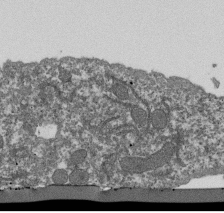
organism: Dictyostelium discoideum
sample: Dictyostelium multivesicular bodies